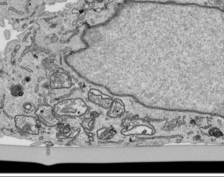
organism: Human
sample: Mitochondria in HCT116 cells